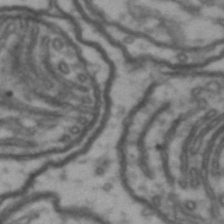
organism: Drosophila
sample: Brain